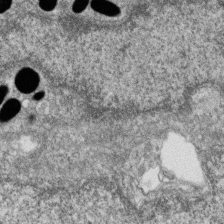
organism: Zebrafish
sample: Cilia; retinal pigment epithelium